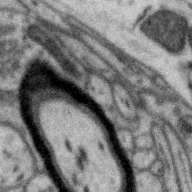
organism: Zebra finch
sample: Brain